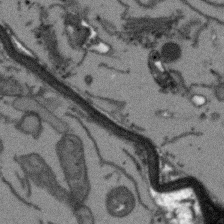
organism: Arabidopsis thaliana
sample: Root tip